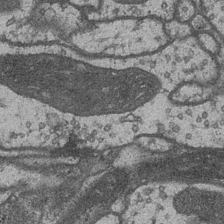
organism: Drosophila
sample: Optic medulla